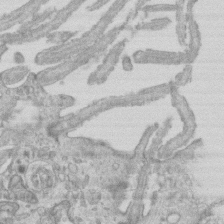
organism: Mouse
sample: Centriole in ependymal cells